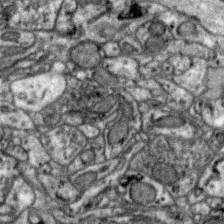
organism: Zebra finch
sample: Brain